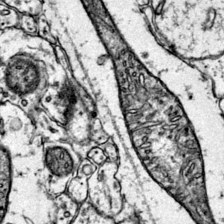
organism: Mouse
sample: Primary visual cortex